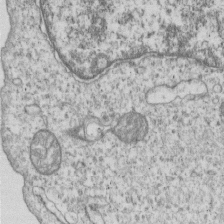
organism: Human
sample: MDA-MB-231 cells